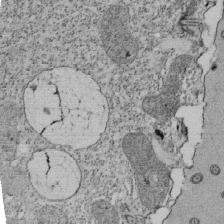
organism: Tetrahymena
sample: Cilia in tetrahymena